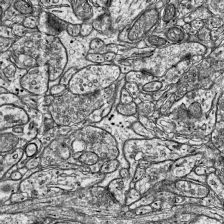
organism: Mouse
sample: Visual Cortex